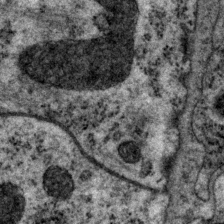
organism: P. pacificus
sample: Pharynx